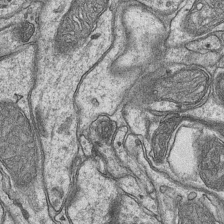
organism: Mouse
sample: CA1 Hippocampus